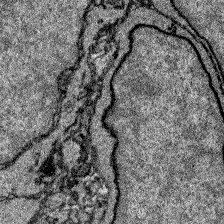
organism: Zebrafish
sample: Larval olfactory bulb